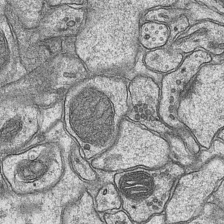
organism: Mouse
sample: CA1 Hippocampus